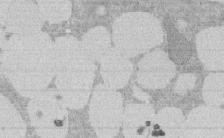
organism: Rat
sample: Salivary granule